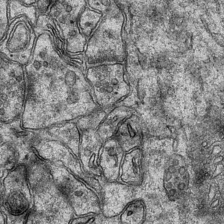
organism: Mouse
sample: CA1 Hippocampus